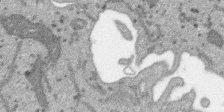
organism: Human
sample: Lung epithelial cells infected with SARS-CoV-2